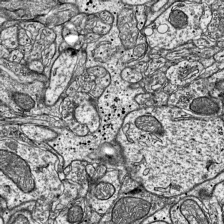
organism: Mouse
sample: Visual Cortex